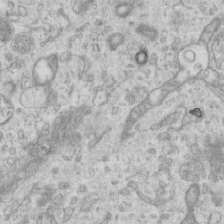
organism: Mouse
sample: Centriole in ependymal cells